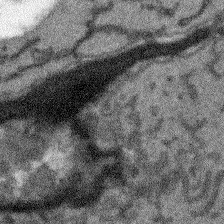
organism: Arabidopsis thaliana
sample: Root tip